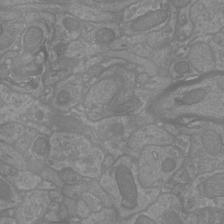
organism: Mouse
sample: Cortical neurons